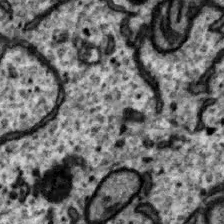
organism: Human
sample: HeLa cells